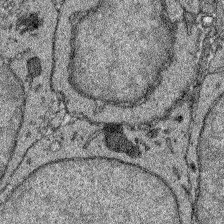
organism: Zebrafish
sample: Larval olfactory bulb